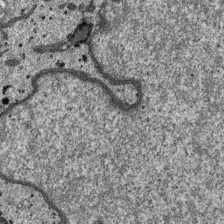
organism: Human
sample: Lung epithelial cells infected with SARS-CoV-2